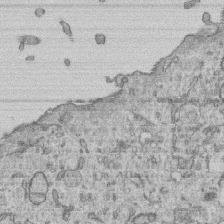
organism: Human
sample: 1205lu cells